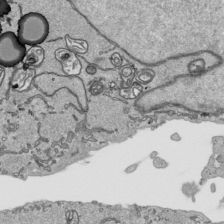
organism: Human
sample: Mitochondria in HCT116 cells